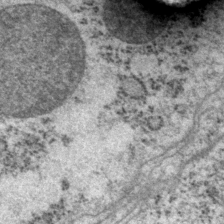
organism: P. pacificus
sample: Pharynx